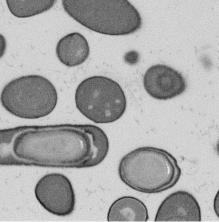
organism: B. subtilis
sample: Bacterial spore